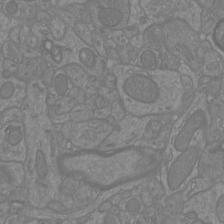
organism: Mouse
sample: Cortical neurons